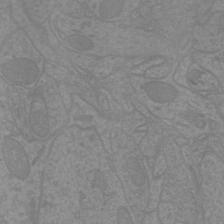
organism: Mouse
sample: Cortical neurons